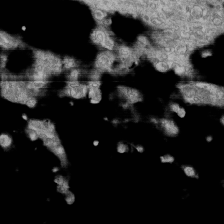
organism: Human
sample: Fibroblast cells